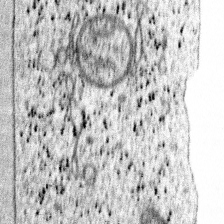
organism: Human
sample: HeLa cells